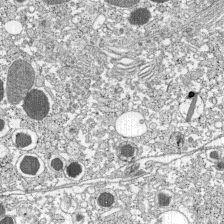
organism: C57BL Mouse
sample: Pancreatic islet